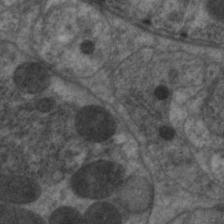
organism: C. elegans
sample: Pharynx